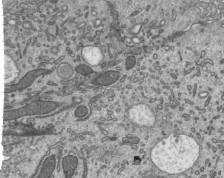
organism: Mouse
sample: Mouse epididymis efferent ductule cilia